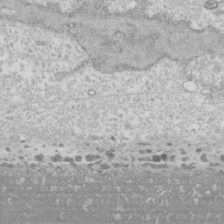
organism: Human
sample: CRL-1474